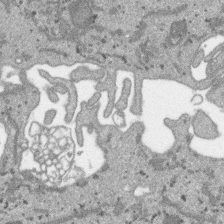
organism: Human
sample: Lung epithelial cells infected with SARS-CoV-2